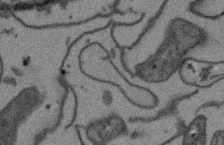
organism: Arabidopsis thaliana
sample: Root tip